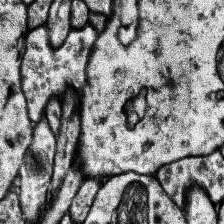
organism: Human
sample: Temporal Lobe